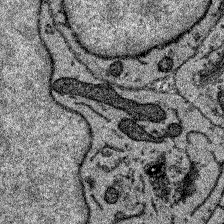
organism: Zebrafish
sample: Larval olfactory bulb